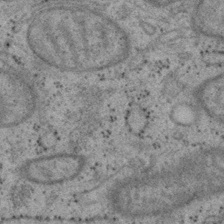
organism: Human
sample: HeLa cells